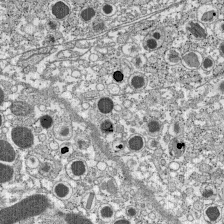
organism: C57BL Mouse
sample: Pancreatic islet